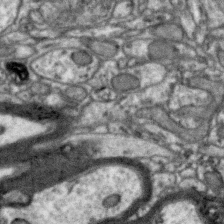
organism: Zebra finch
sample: Brain